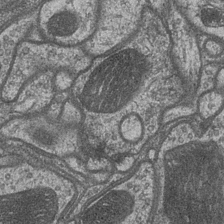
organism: Drosophila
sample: Optic medulla